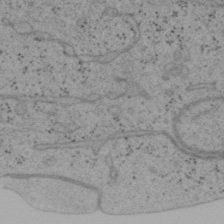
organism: Human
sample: HeLa cells